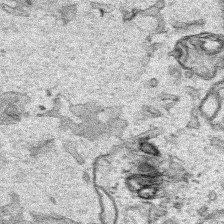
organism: Human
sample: Mitochondria in HCT116 cells